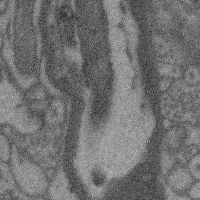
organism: Mouse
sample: Cerebral cortex